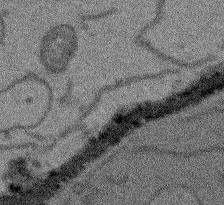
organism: Arabidopsis thaliana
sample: Root tip